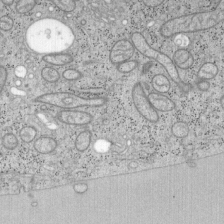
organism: Mouse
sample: OT-I killer T cells with ID8 ovarian cancer cells